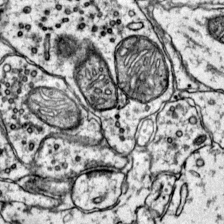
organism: Mouse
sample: Primary visual cortex